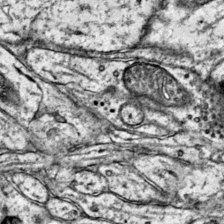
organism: Mouse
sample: Primary visual cortex